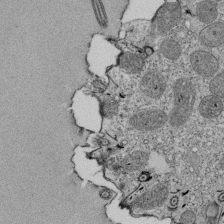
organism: Tetrahymena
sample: Cilia in tetrahymena